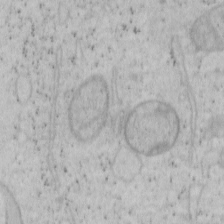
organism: Human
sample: HeLa cells